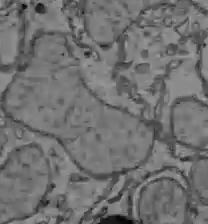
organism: C57BL Mouse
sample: Liver